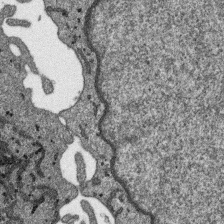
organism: Human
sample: Lung epithelial cells infected with SARS-CoV-2